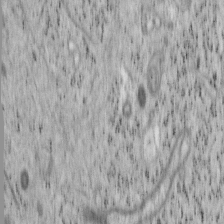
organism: Human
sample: HeLa cells